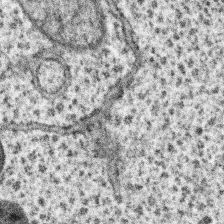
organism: Human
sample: HeLa cells